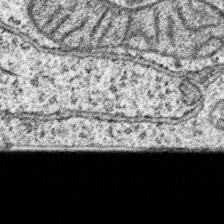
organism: Human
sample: HeLa cells